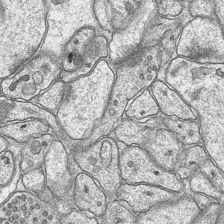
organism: Mouse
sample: CA1 Hippocampus